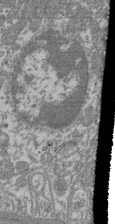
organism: Mouse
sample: Glomerulus